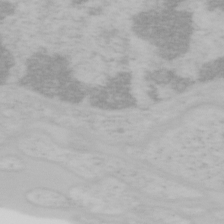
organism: Mouse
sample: OT-I killer T cells with ID8 ovarian cancer cells